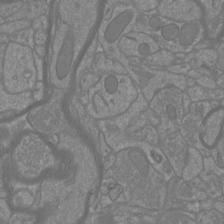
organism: Mouse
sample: Cortical neurons